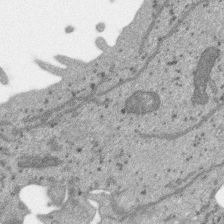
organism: Human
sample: Lung epithelial cells infected with SARS-CoV-2